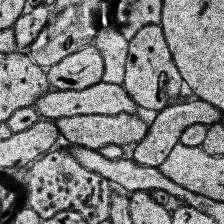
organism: Human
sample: Temporal Lobe